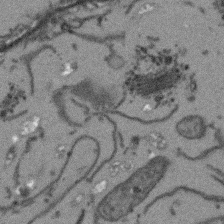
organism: Arabidopsis thaliana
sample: Root tip